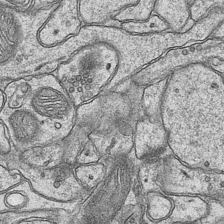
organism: Mouse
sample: CA1 Hippocampus